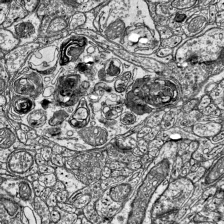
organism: Mouse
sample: Visual Cortex